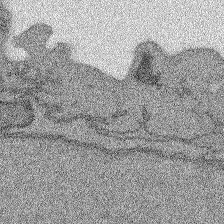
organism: Human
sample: HeLa cells